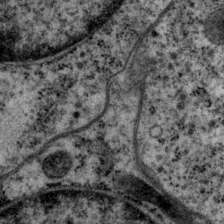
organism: P. pacificus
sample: Pharynx